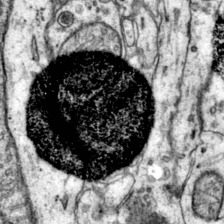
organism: Mouse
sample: Primary visual cortex